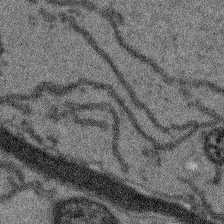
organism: Arabidopsis thaliana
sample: Root tip